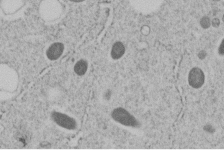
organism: C. elegans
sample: C. elegans embryo early stage